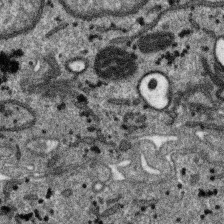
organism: Human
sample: Lung epithelial cells infected with SARS-CoV-2